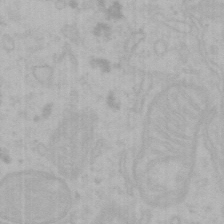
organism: Mouse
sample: Choroid plexus